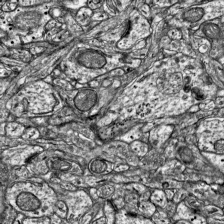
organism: Mouse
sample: Visual Cortex